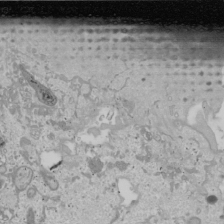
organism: Human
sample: Mitochondria in U2OS cells